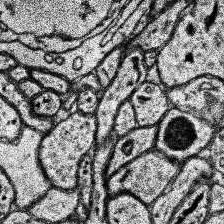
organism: Human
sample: Temporal Lobe